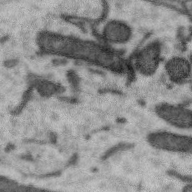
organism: Zebra finch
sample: Brain